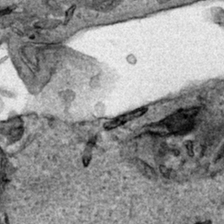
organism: Human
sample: Mitochondria in HCT116 cells